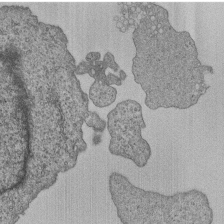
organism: Human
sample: MDA-MB-231 cells